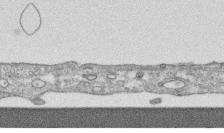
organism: Human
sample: CRL-1474